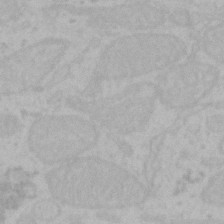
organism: Mouse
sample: Choroid plexus